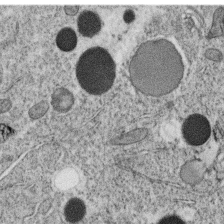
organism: C. elegans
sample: C. elegans oocyte; sperm cells